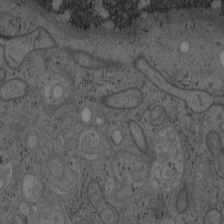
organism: Mouse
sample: OT-I killer T cells with ID8 ovarian cancer cells